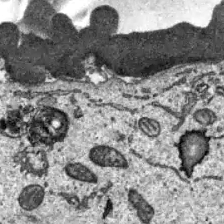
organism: Human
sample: HeLa cells